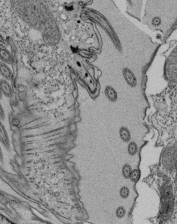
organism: Tetrahymena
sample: Cilia in tetrahymena